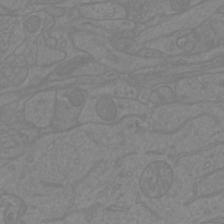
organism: Mouse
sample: Cortical neurons